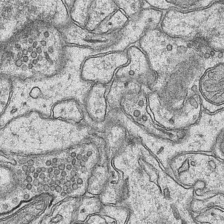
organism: Mouse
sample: CA1 Hippocampus